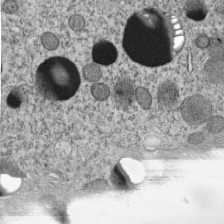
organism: C. elegans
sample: C. elegans embryo early stage